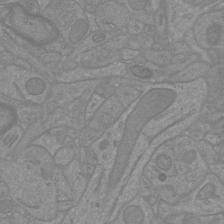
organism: Mouse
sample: Cortical neurons